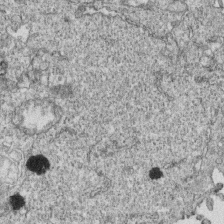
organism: Human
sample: HeLa cell HIV synapse